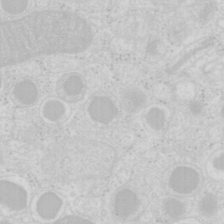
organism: Mouse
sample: Pancreas